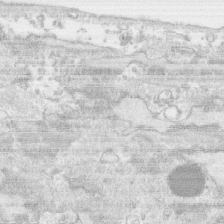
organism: Human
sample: CRL-1474